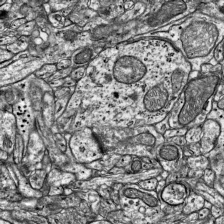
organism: Mouse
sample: Visual Cortex